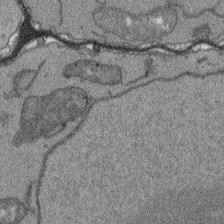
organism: Arabidopsis thaliana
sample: Root tip